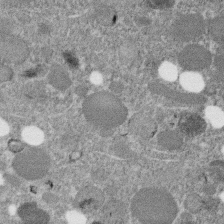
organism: C. elegans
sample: C. elegans embryo early stage